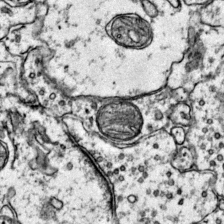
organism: Mouse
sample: Primary visual cortex